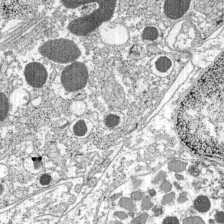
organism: C57BL Mouse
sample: Pancreatic islet